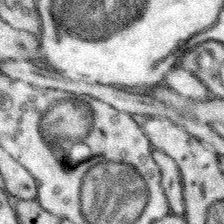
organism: Mouse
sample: Somatosensory cortex neuropil